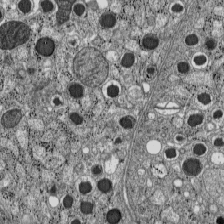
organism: C57BL Mouse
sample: Pancreatic islet